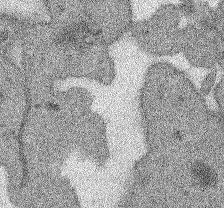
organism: Human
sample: HeLa cells